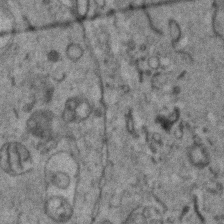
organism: Zebrafish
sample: Zebrafish embryo